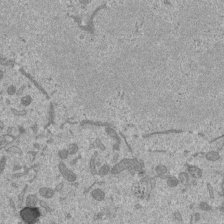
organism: Mouse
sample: ED-1 cell nuclei; centrioles